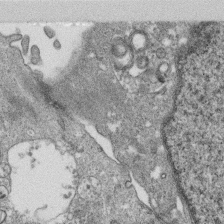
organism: African green monkey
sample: Vero E6 cells infected with SARS-CoV-2